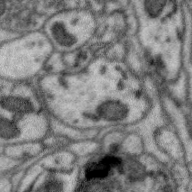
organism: Zebra finch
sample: Brain